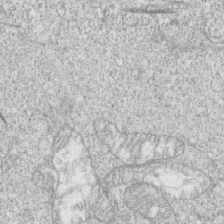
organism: Human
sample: HeLa cell HIV synapse